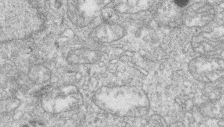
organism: Human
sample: HeLa cell HIV synapse